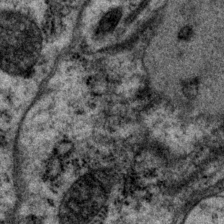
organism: P. pacificus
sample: Pharynx